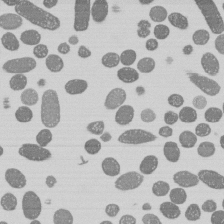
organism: E. coli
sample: Bacterial nucleoid